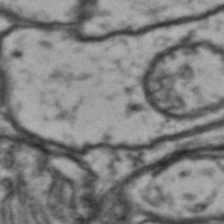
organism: Drosophila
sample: Brain